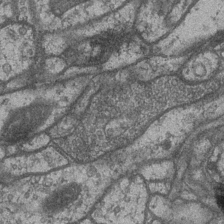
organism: Drosophila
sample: Optic medulla